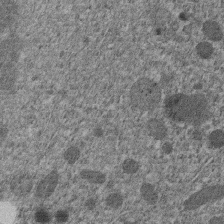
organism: C. elegans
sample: C. elegans embryo early stage